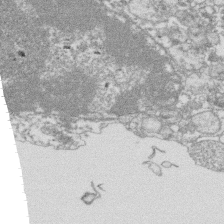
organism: Human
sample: HeLa cell HIV synapse